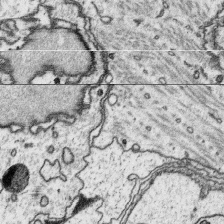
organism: Platynereis dumerilii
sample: Parapodia